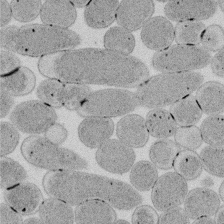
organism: E. coli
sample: Bacterial nucleoid